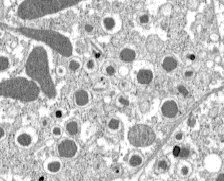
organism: C57BL Mouse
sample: Pancreatic islet